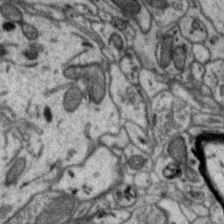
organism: Zebra finch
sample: Brain